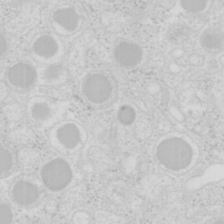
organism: Mouse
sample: Pancreas